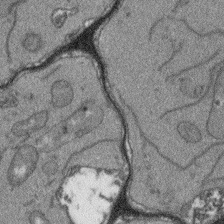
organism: Arabidopsis thaliana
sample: Root tip